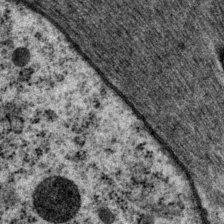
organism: P. pacificus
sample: Pharynx